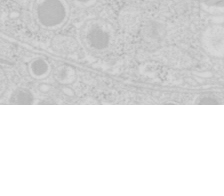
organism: Mouse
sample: Pancreas